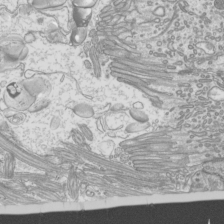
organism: Mouse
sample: Cilia; mouse epididymis